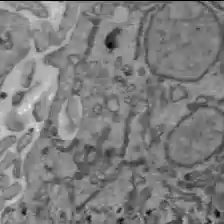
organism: C57BL Mouse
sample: Liver